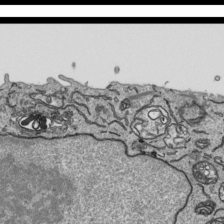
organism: Human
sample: Mitochondria in HCT116 cells